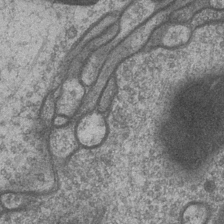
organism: Drosophila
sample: Optic medulla